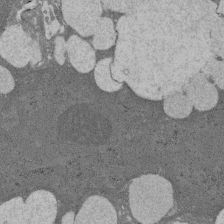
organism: Rat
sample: Salivary granule